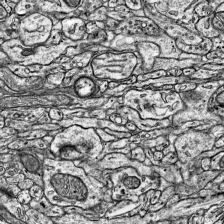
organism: Mouse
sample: Visual Cortex